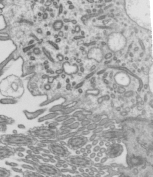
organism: Mouse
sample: Mouse epididymis efferent ductule cilia